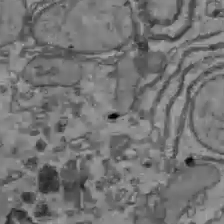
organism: C57BL Mouse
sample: Liver